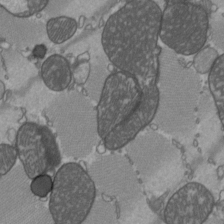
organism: C57BL Mouse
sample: Heart